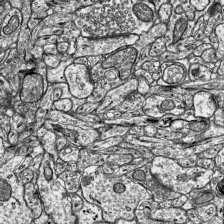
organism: Mouse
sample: Visual Cortex